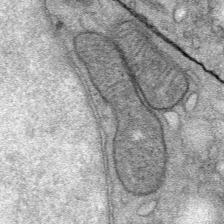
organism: Mouse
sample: Mouse Salivary gland